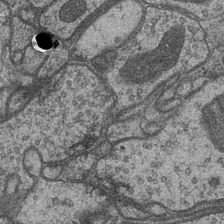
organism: Drosophila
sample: Optic medulla